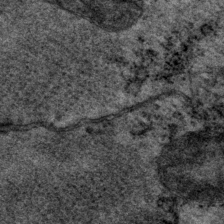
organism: P. pacificus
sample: Pharynx